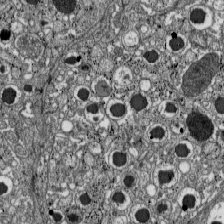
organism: C57BL Mouse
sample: Pancreatic islet